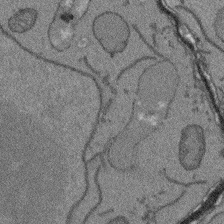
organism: Arabidopsis thaliana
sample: Root tip